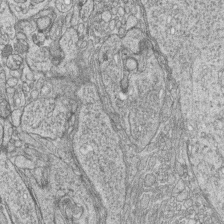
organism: Zebrafish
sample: synaptic ribbons in rod cells and cone cells